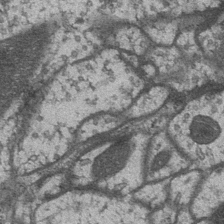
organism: Drosophila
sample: Optic medulla